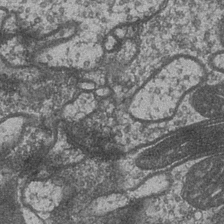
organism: Drosophila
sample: Optic medulla